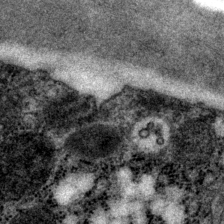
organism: P. pacificus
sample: Pharynx